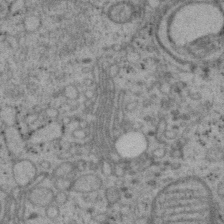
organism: Human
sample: HeLa cells